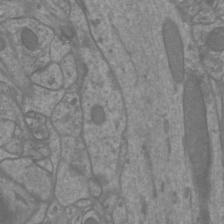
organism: Mouse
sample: Cortical neurons